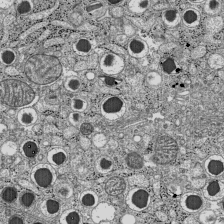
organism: C57BL Mouse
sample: Pancreatic islet